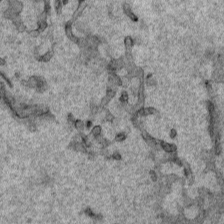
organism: Human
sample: Mitochondria in HCT116 cells